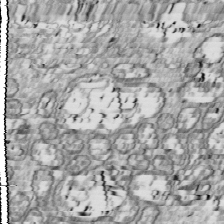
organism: Drosophila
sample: Cell division; meiosis; drosophila spermatocytes